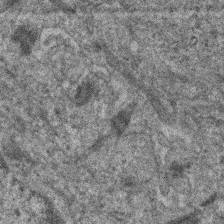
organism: Human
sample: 1205lu cells